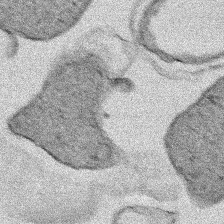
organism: Human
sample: Mitochondria in HCT116 cells